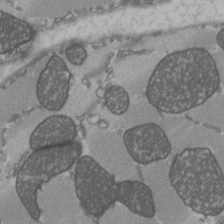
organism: C57BL Mouse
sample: Heart